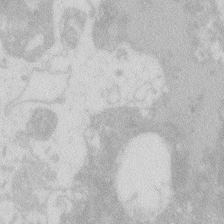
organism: Zebrafish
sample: Macrophage